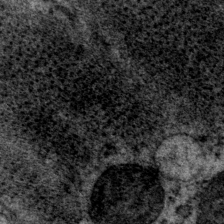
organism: P. pacificus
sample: Pharynx